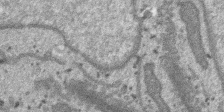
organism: Human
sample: Lung epithelial cells infected with SARS-CoV-2